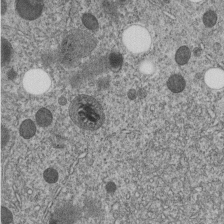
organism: C. elegans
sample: C. elegans embryo early stage